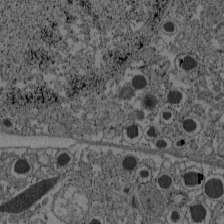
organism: C57BL Mouse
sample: Pancreatic islet